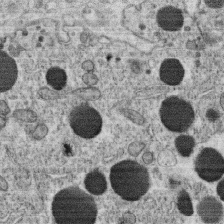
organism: C. elegans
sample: C. elegans oocyte; sperm cells